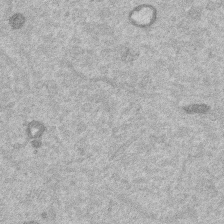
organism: Mouse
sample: Dividing mouse embryo 1 cell stage